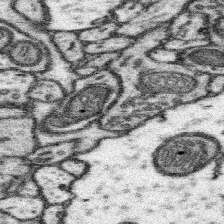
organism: Mouse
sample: Somatosensory cortex neuropil